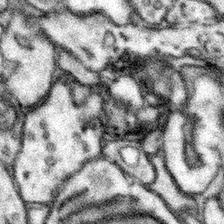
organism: Mouse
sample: Somatosensory cortex neuropil